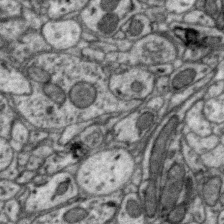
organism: Zebra finch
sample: Brain